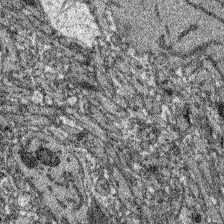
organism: Zebrafish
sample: Larval olfactory bulb